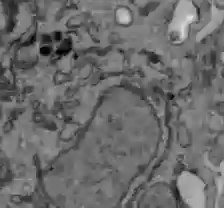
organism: C57BL Mouse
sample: Liver